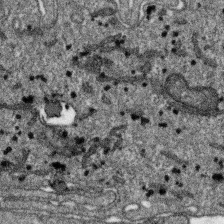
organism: Human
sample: Lung epithelial cells infected with SARS-CoV-2